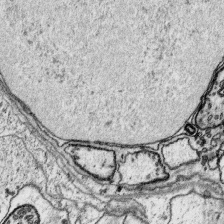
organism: Platynereis dumerilii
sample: Parapodia